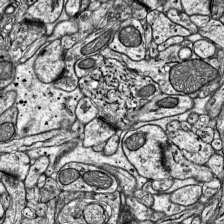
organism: Mouse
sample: Visual Cortex